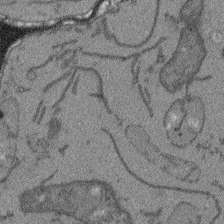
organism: Arabidopsis thaliana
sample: Root tip